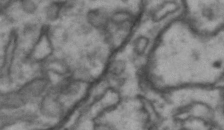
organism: Drosophila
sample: Brain